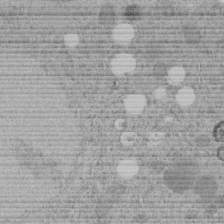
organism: C. elegans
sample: C. elegans embryo early stage